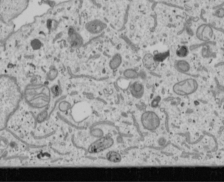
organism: Human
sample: Mitochondria in U2OS cells